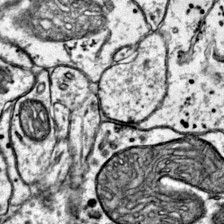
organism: Mouse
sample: Primary visual cortex